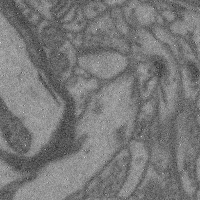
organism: Mouse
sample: Cerebral cortex